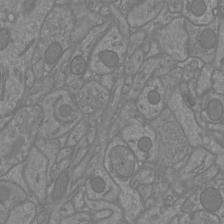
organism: Mouse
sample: Cortical neurons